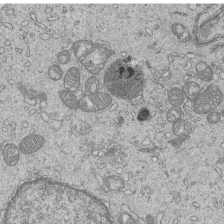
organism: Human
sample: MDA-MB-231 cells